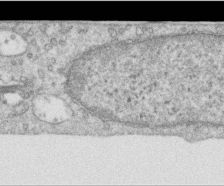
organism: Human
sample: Centriole in RPE cells